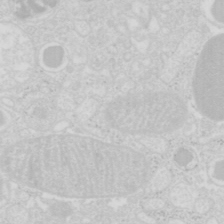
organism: Mouse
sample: Pancreas